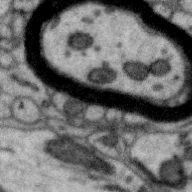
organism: Zebra finch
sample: Brain